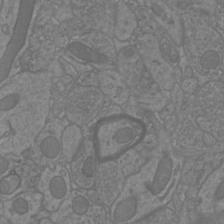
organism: Mouse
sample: Cortical neurons